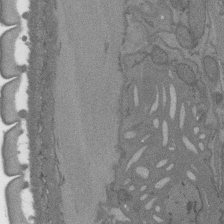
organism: C. elegans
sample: AFD neurons C. elegans